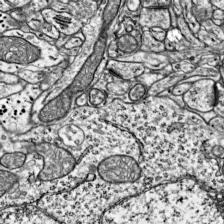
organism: Mouse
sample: Visual Cortex